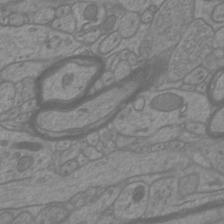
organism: Mouse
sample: Cortical neurons